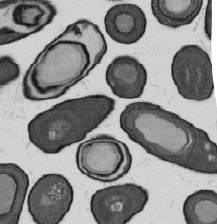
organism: B. subtilis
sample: Bacterial spore